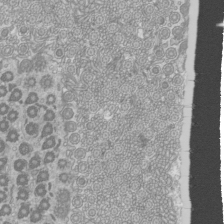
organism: Mouse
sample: Cilia; mouse epididymis